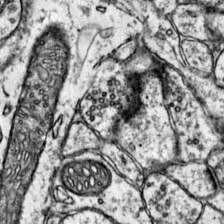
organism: Mouse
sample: Primary visual cortex